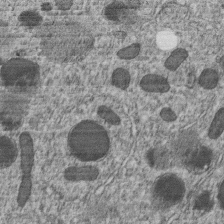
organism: C. elegans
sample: C. elegans embryo early stage